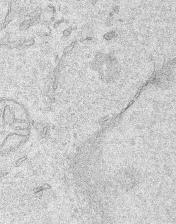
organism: Human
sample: Mitochondria in HCT116 cells